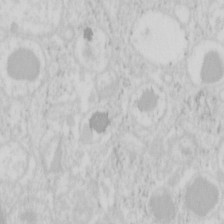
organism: Mouse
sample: Pancreas